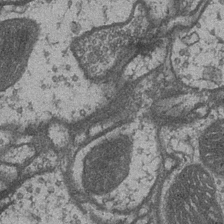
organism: Drosophila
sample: Optic medulla